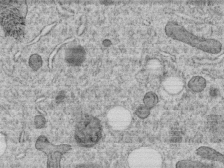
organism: C. elegans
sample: C. elegans embryo early stage